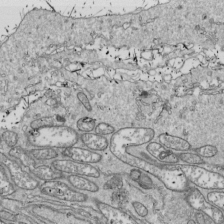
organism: Drosophila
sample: Cell division; meiosis; drosophila spermatocytes